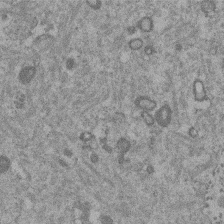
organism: Mouse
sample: Dividing mouse embryo 1 cell stage